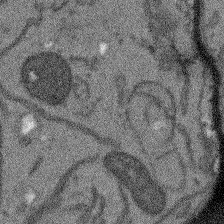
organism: Arabidopsis thaliana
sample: Root tip